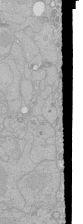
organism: Human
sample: Caco-2 cells